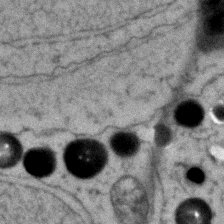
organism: Zebrafish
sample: Zebrafish embryo